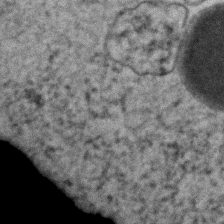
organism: Human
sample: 1205lu cells